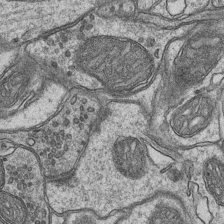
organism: Mouse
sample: CA1 Hippocampus